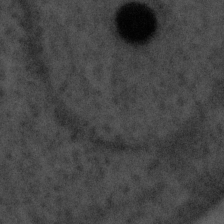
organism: Tuwongella immobilis